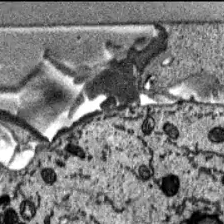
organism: Human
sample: HeLa cells